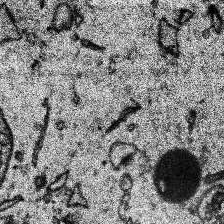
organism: Human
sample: Temporal Lobe